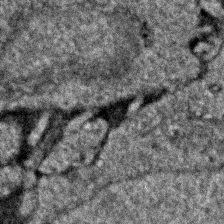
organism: Zebrafish